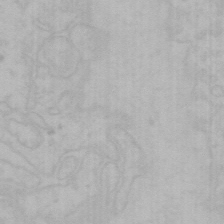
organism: Mouse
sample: Choroid plexus